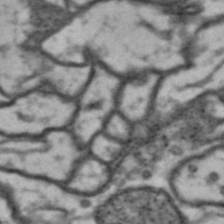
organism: Drosophila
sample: Brain